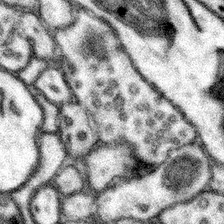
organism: Mouse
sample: Somatosensory cortex neuropil